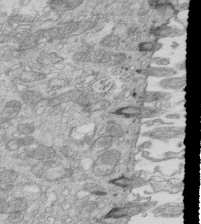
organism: Mouse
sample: Multiciliated cells